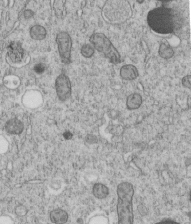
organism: C. elegans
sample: C. elegans embryo early stage